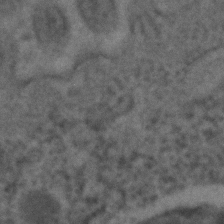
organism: C. elegans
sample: C. elegans embryo